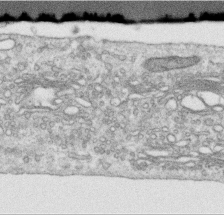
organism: Human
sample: Centriole in RPE cells